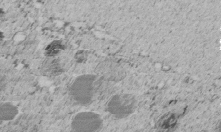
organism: C. elegans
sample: C. elegans embryo early stage